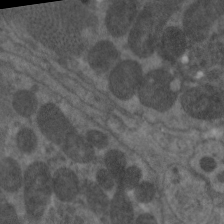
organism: C. elegans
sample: Pharynx